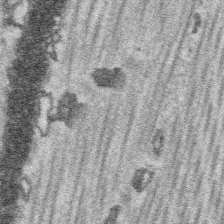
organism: Platynereis dumerilii